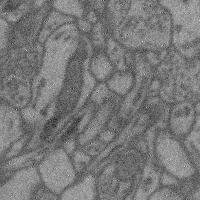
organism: Mouse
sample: Cerebral cortex